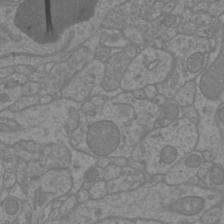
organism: Mouse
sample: Cortical neurons